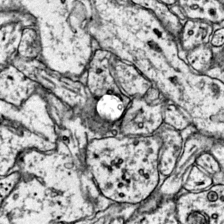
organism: Mouse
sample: Primary visual cortex